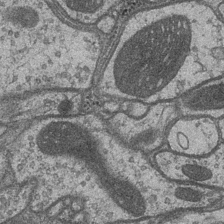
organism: Drosophila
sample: Optic medulla